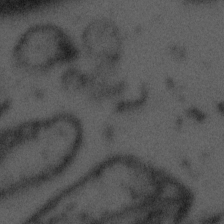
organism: Tuwongella immobilis